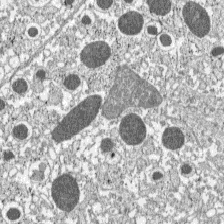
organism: C57BL Mouse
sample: Pancreatic islet